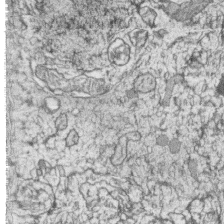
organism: Zebrafish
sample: synaptic ribbons in rod cells and cone cells